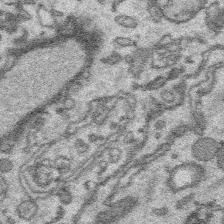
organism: Platynereis dumerilii